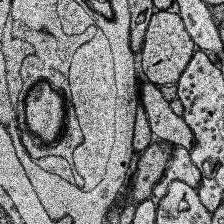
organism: Human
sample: Temporal Lobe